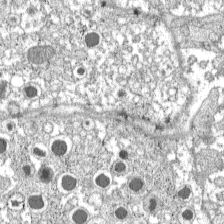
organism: C57BL Mouse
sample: Pancreatic islet